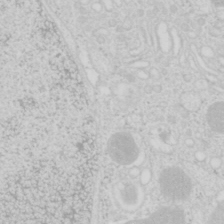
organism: Mouse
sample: Pancreas